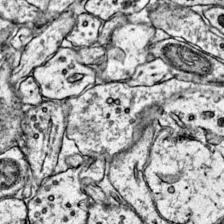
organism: Mouse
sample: Primary visual cortex